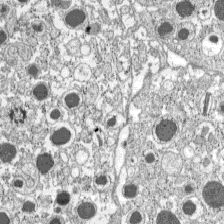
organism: C57BL Mouse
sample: Pancreatic islet